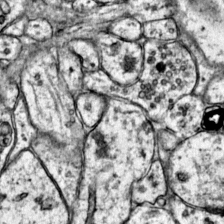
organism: Mouse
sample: Primary visual cortex